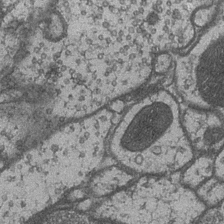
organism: Drosophila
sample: Optic medulla